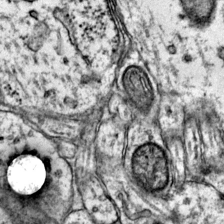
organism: Mouse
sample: Primary visual cortex